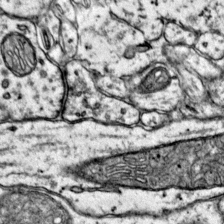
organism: Mouse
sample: Primary visual cortex